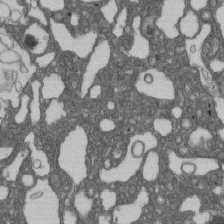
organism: Drosophila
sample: Nephrocyte